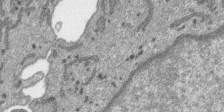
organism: Human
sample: Lung epithelial cells infected with SARS-CoV-2